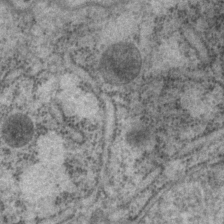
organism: P. pacificus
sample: Pharynx